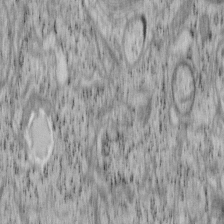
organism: Human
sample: HeLa cells